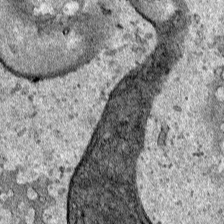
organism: Human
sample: Mitochondria in HCT116 cells